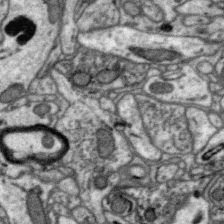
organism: Zebra finch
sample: Brain